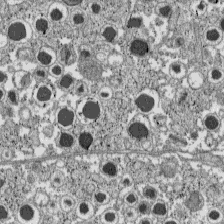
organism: C57BL Mouse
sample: Pancreatic islet